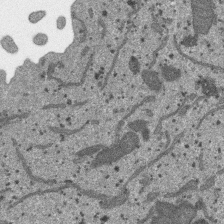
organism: Human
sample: Lung epithelial cells infected with SARS-CoV-2